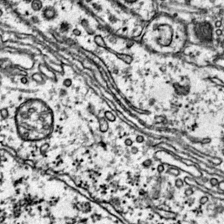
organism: Mouse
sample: Primary visual cortex